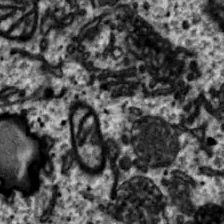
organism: Human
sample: HeLa cells